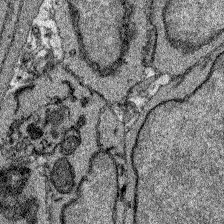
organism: Zebrafish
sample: Larval olfactory bulb